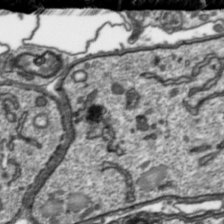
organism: Toxoplasma gondii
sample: Parasites in a vacuole inside a host cell